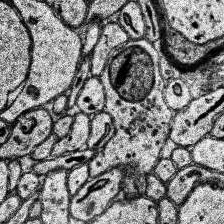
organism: Human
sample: Temporal Lobe